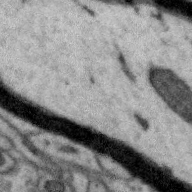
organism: Zebra finch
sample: Brain